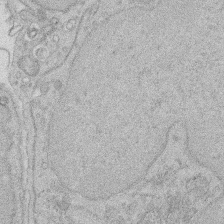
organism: Rat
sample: Salivary granule